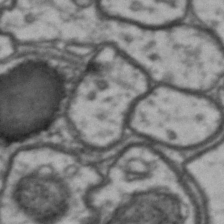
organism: Drosophila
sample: Brain